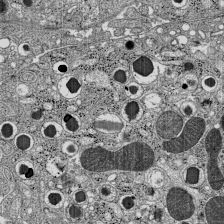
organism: C57BL Mouse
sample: Pancreatic islet